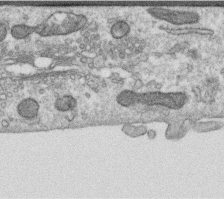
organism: Human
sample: Centriole in RPE cells